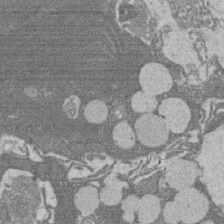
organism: Rat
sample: Salivary granule